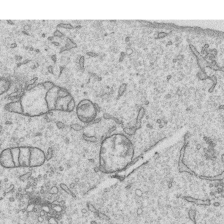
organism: Human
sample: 1205lu cells